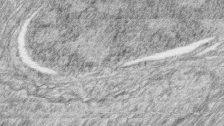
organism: Zebrafish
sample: synaptic ribbons in rod cells and cone cells